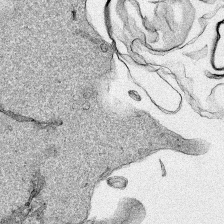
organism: Human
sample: Mitochondria in HCT116 cells